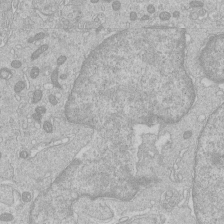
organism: Human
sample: Macrophage cells